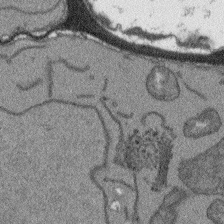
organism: Arabidopsis thaliana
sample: Root tip